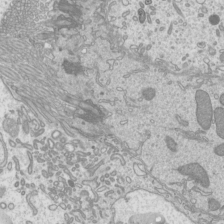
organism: Mouse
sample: Cilia; mouse epididymis